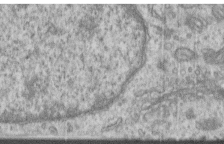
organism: Human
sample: Centriole in RPE cells